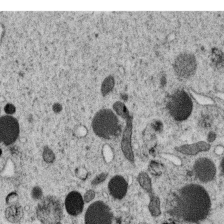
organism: C. elegans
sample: C. elegans oocyte; sperm cells